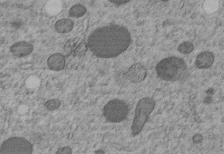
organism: C. elegans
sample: C. elegans embryo early stage